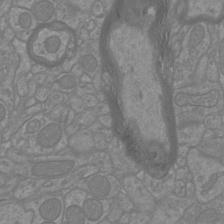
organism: Mouse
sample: Cortical neurons